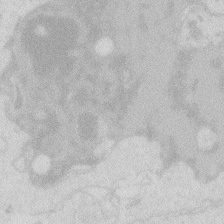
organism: Zebrafish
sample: Macrophage